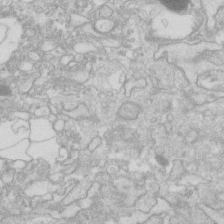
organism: Human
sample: Fibroblast cells